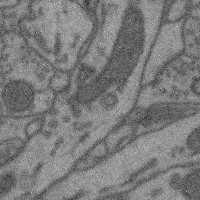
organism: Mouse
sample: Cerebral cortex